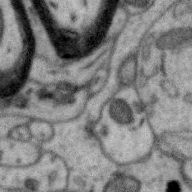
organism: Zebra finch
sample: Brain